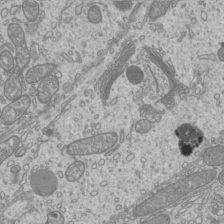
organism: Mouse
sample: Cilia; mouse epididymis